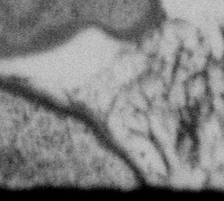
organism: Gemmata obscuriglobus